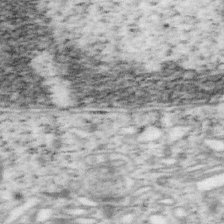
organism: Mouse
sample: OT-I killer T cells with ID8 ovarian cancer cells